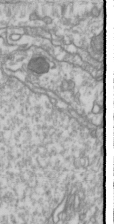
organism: Drosophila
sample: Cell division; meiosis; drosophila spermatocytes